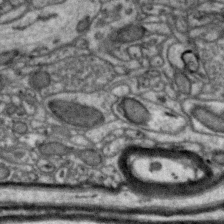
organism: Zebra finch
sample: Brain